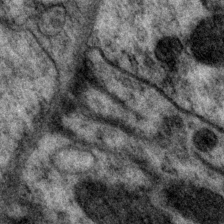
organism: P. pacificus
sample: Pharynx